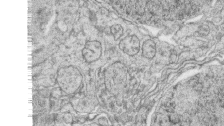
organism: Zebrafish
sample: synaptic ribbons in rod cells and cone cells